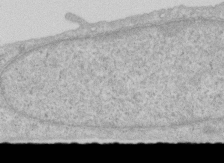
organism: Human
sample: Centriole in RPE cells